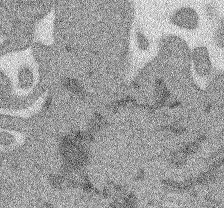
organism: Human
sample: HeLa cells